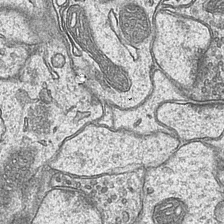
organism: Mouse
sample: CA1 Hippocampus